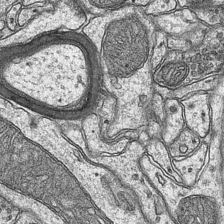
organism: Mouse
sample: CA1 Hippocampus